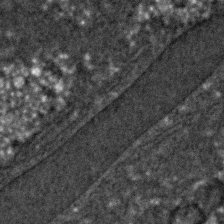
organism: C. elegans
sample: C. elegans embryo